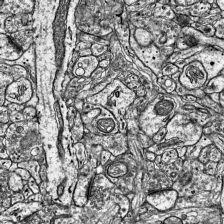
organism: Mouse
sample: Visual Cortex